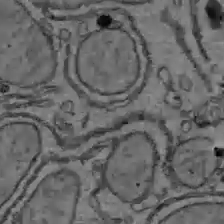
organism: C57BL Mouse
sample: Liver